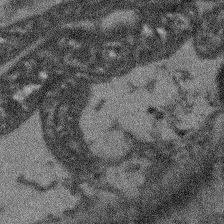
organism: Arabidopsis thaliana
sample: Root tip